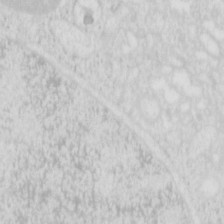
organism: Mouse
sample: Pancreas